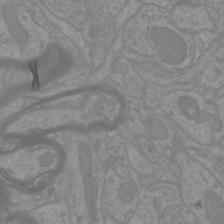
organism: Mouse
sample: Cortical neurons